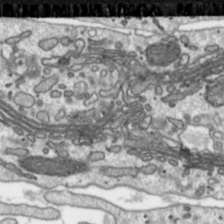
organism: Toxoplasma gondii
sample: Parasites in a vacuole inside a host cell